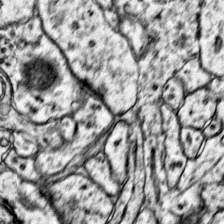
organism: Mouse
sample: Primary visual cortex